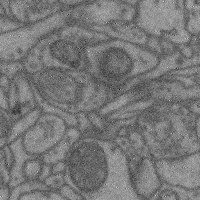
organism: Mouse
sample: Cerebral cortex